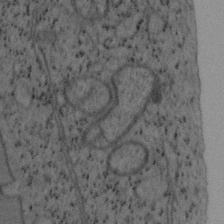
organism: Human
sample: HeLa cells